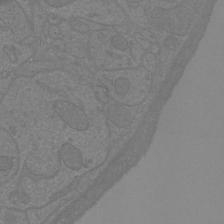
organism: Mouse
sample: Cortical neurons